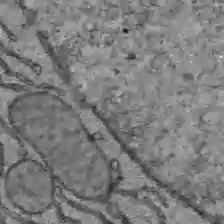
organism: C57BL Mouse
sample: Liver